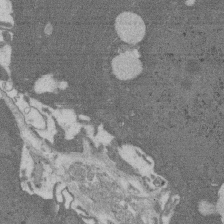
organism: Rat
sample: Salivary granule